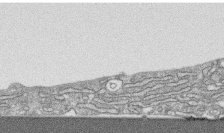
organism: Human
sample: CRL-1474